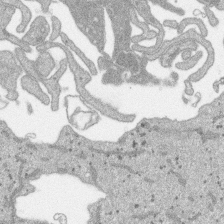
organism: Human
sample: Lung epithelial cells infected with SARS-CoV-2